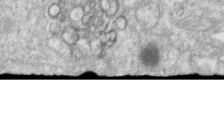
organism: Human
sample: HeLa cell HIV synapse